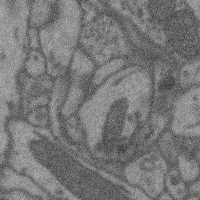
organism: Mouse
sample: Cerebral cortex